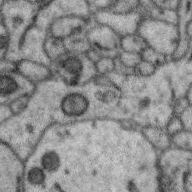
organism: Zebra finch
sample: Brain